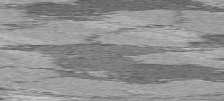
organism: C57BL Mouse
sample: Heart